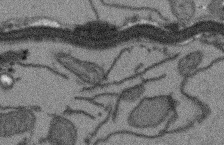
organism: Arabidopsis thaliana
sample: Root tip